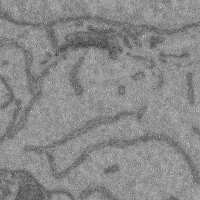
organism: Mouse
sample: Cerebral cortex